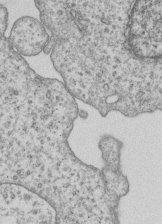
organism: Human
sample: MDA-MB-231 cells